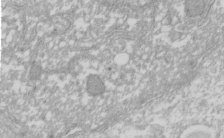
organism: Xenopus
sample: Cilia; centrioles in frog embryo cells